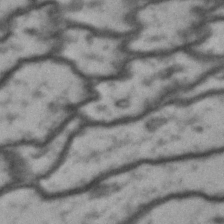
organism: Drosophila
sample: Brain